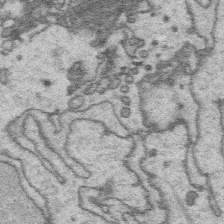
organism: Platynereis dumerilii